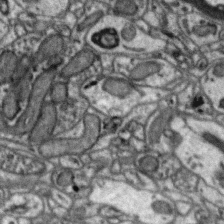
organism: Zebra finch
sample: Brain